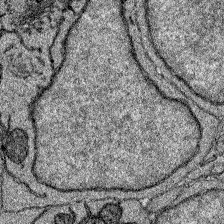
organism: Zebrafish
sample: Larval olfactory bulb